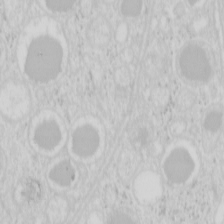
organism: Mouse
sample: Pancreas